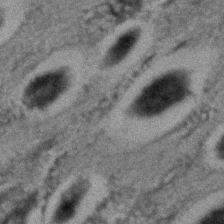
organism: C. elegans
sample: C. elegans embryo